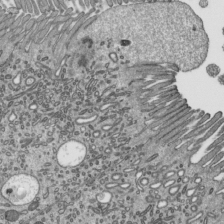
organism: Mouse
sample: Mouse epididymis efferent ductule cilia